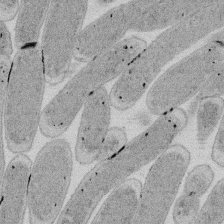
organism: E. coli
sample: Bacterial nucleoid